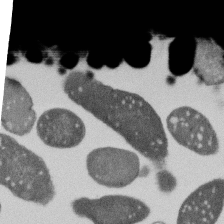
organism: E. coli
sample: Bacterial nucleoid